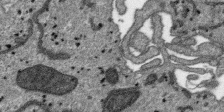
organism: Human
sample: Lung epithelial cells, uninfected (mock) control